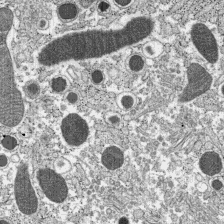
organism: C57BL Mouse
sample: Pancreatic islet